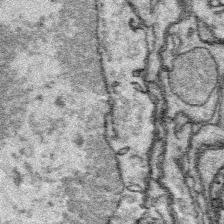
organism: Platynereis dumerilii